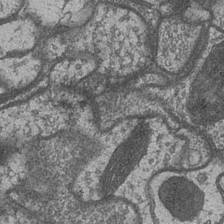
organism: Drosophila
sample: Optic medulla